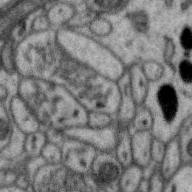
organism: Zebra finch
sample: Brain